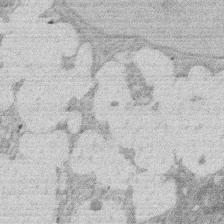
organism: Rat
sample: Salivary granule